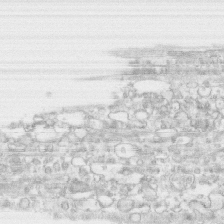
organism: Human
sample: CRL-1474